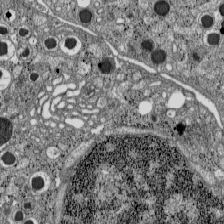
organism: C57BL Mouse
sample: Pancreatic islet